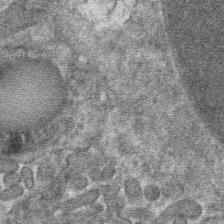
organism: Mouse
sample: Mouse hepatocytes